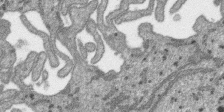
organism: Human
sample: Lung epithelial cells infected with SARS-CoV-2